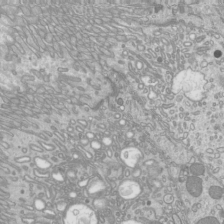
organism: Mouse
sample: Cilia; mouse epididymis